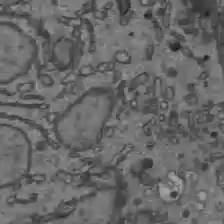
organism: C57BL Mouse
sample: Liver